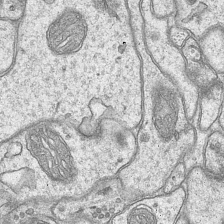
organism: Mouse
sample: CA1 Hippocampus